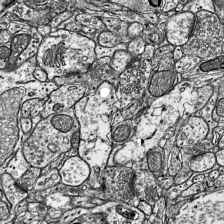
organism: Mouse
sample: Visual Cortex